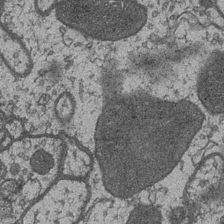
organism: Drosophila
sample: Optic medulla